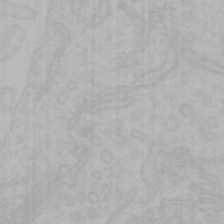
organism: Mouse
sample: Choroid plexus